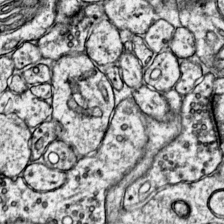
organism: Mouse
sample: Primary visual cortex